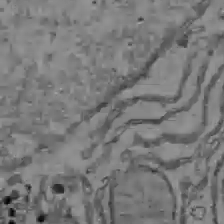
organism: C57BL Mouse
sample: Liver